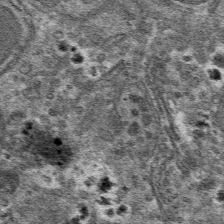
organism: Mouse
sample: Mouse hepatocytes